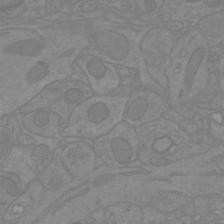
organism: Mouse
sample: Cortical neurons